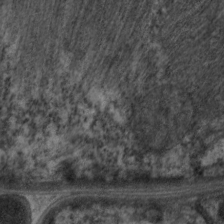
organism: C. elegans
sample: Pharynx